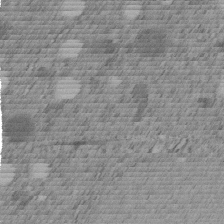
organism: C. elegans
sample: C. elegans embryo early stage